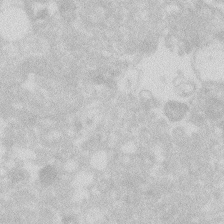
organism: Zebrafish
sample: Macrophage